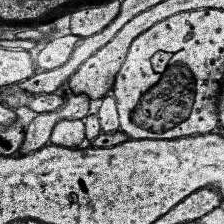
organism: Human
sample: Temporal Lobe